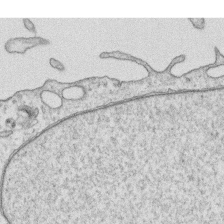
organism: Human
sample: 1205lu cells